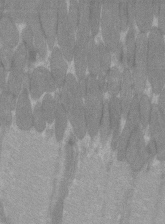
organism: C57BL Mouse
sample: Tibialis anterior muscle cell